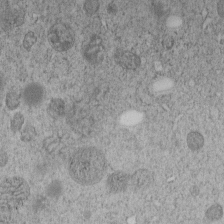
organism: C. elegans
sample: C. elegans embryo early stage